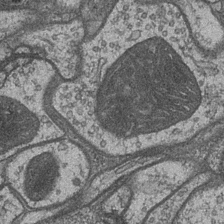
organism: Drosophila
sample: Optic medulla